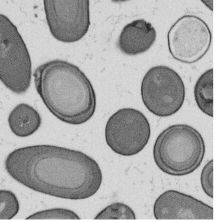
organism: B. subtilis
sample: Bacterial spore